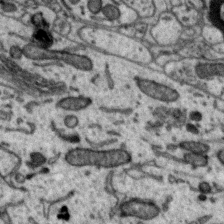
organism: Zebra finch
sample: Brain